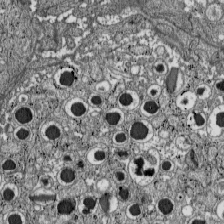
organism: C57BL Mouse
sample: Pancreatic islet